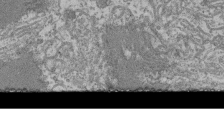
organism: Mouse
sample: Glomerulus